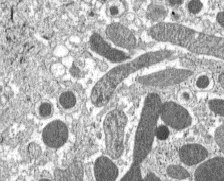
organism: C57BL Mouse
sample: Pancreatic islet